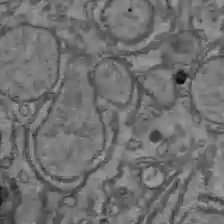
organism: C57BL Mouse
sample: Liver